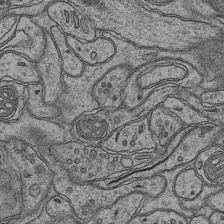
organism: Mouse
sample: CA1 Hippocampus